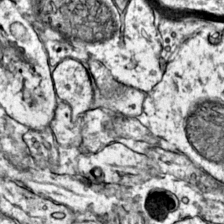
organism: Mouse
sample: Primary visual cortex